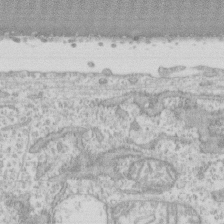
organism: Human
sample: CRL-1474